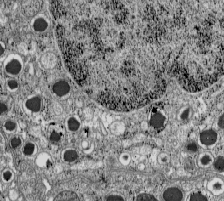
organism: C57BL Mouse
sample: Pancreatic islet